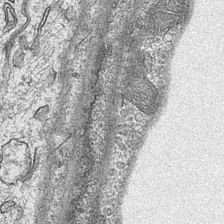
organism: Mouse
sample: CA1 Hippocampus